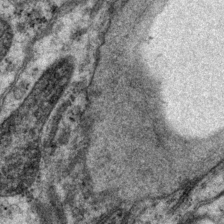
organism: P. pacificus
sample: Pharynx